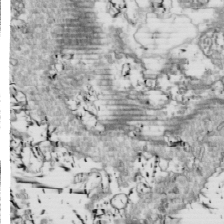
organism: Drosophila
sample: Cell division; meiosis; drosophila spermatocytes